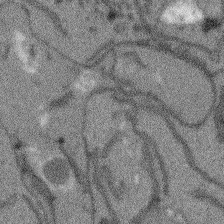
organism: Arabidopsis thaliana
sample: Root tip